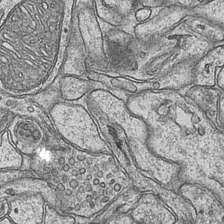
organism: Mouse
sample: CA1 Hippocampus